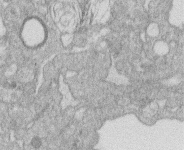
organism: Human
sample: Macrophage cells